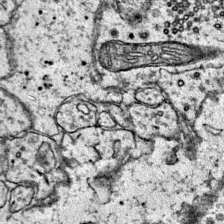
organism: Mouse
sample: Primary visual cortex